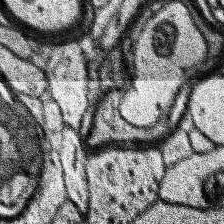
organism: Human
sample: Temporal Lobe